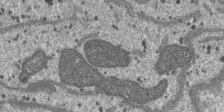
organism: Human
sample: Lung epithelial cells infected with SARS-CoV-2